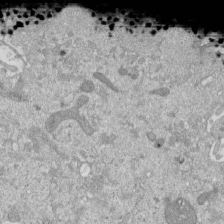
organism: Mouse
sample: ED-1 cell nuclei; centrioles